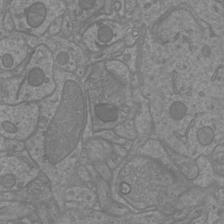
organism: Mouse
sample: Cortical neurons